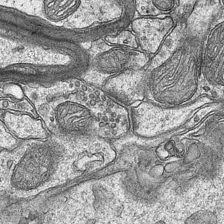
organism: Mouse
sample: CA1 Hippocampus